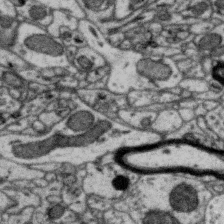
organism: Zebra finch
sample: Brain